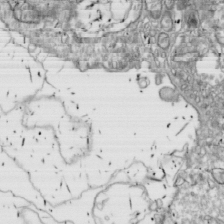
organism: Drosophila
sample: Cell division; meiosis; drosophila spermatocytes